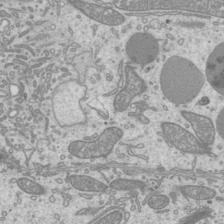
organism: Mouse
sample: Cilia; mouse epididymis